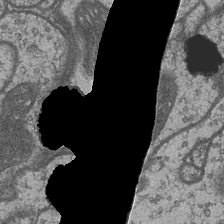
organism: Drosophila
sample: Optic medulla